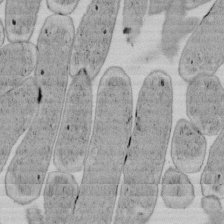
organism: E. coli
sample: Bacterial nucleoid